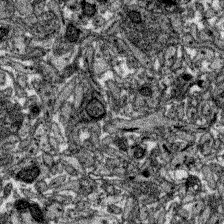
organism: Zebrafish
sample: Larval olfactory bulb